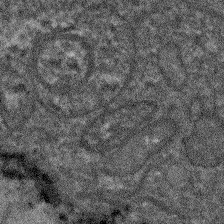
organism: Arabidopsis thaliana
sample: Root tip